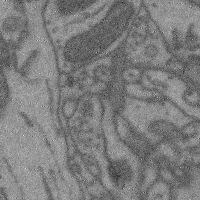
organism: Mouse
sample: Cerebral cortex